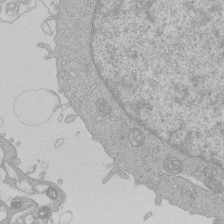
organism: Human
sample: Macrophage cells